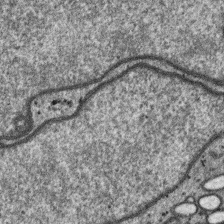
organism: Human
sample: Lung epithelial cells infected with SARS-CoV-2